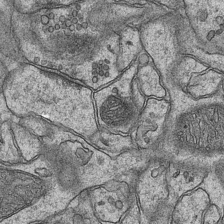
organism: Mouse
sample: CA1 Hippocampus